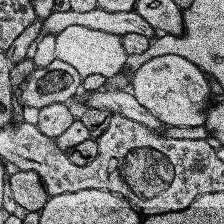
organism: Human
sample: Temporal Lobe